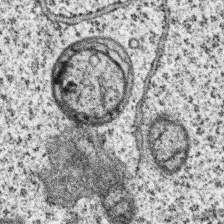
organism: Human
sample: HeLa cells